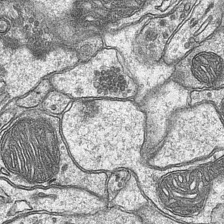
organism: Mouse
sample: CA1 Hippocampus